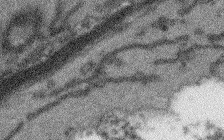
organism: Arabidopsis thaliana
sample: Root tip